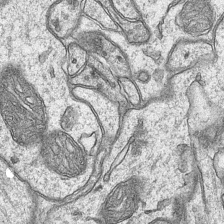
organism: Mouse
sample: CA1 Hippocampus